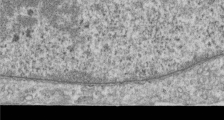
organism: Human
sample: Centriole in RPE cells